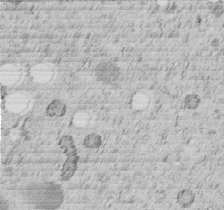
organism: C. elegans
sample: C. elegans embryo early stage